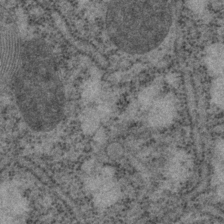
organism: P. pacificus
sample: Pharynx